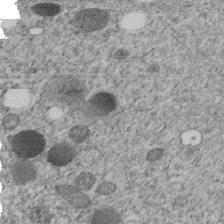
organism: C. elegans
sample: C. elegans embryo early stage